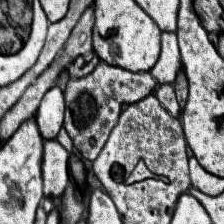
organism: Human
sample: Temporal Lobe